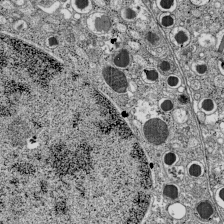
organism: C57BL Mouse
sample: Pancreatic islet